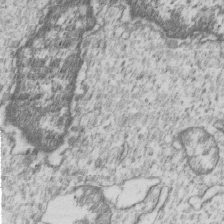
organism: Human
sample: MDA-MB-231 cells